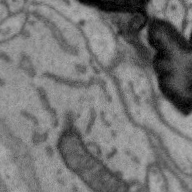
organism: Zebra finch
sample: Brain